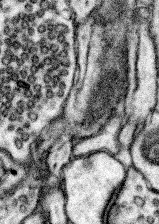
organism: Mouse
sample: Somatosensory cortex neuropil